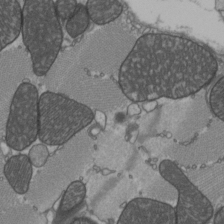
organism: C57BL Mouse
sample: Heart